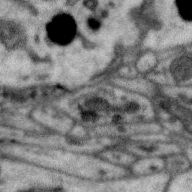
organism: Zebra finch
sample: Brain